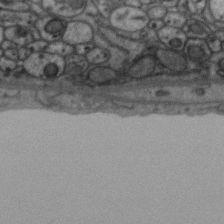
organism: Zebra finch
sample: Brain